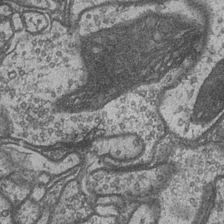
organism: Drosophila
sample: Optic medulla